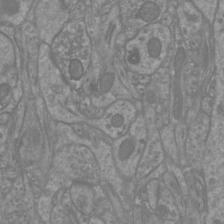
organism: Mouse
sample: Cortical neurons